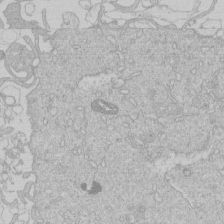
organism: Human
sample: Macrophage cells